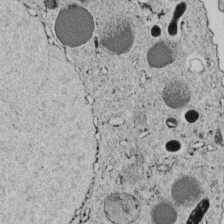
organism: C. elegans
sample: C. elegans embryo early stage